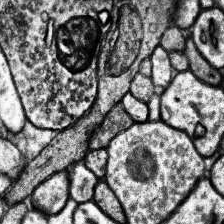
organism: Human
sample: Temporal Lobe